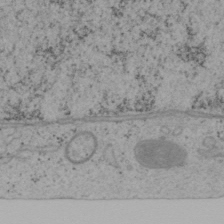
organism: Human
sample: HeLa cells